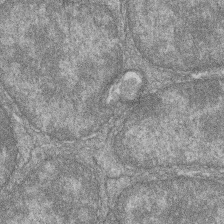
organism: Zebrafish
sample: Cilia; retinal pigment epithelium